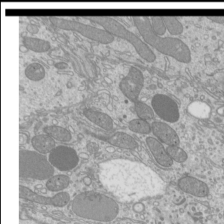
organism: Mouse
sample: Cilia; mouse epididymis